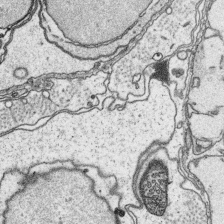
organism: Platynereis dumerilii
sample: Parapodia